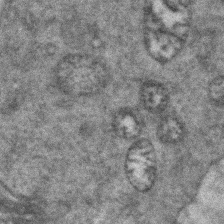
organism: Zebrafish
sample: Zebrafish embryo